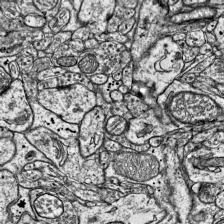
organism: Mouse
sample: Visual Cortex